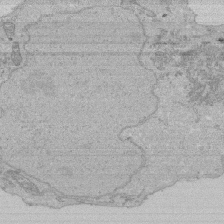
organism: Human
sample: Activated Jurkat CD4+ T cells